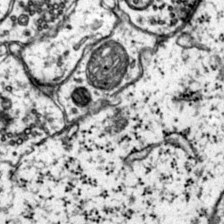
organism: Mouse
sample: Primary visual cortex